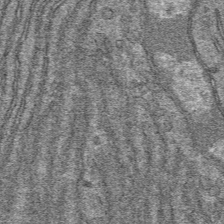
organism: Mouse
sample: Mouse hepatocytes